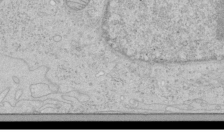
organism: Human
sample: Mitochondria in HCT116 cells